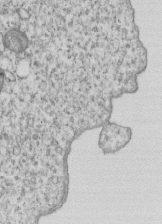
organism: Human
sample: MDA-MB-231 cells